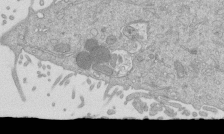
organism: Mouse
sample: ED-1 cell nuclei; centrioles